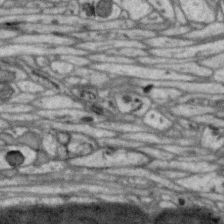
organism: Zebra finch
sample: Brain